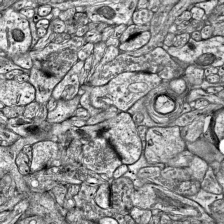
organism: Mouse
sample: Visual Cortex